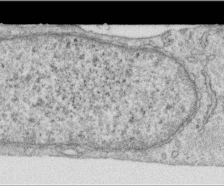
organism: Human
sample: Centriole in RPE cells